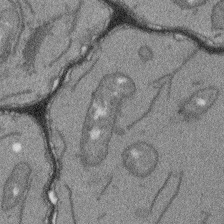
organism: Arabidopsis thaliana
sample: Root tip